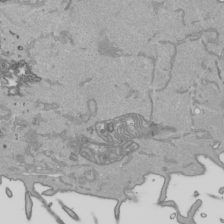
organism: Human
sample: Mitochondria in HCT116 cells